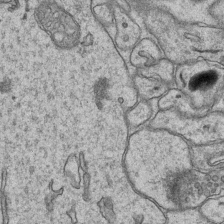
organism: Mouse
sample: CA1 Hippocampus